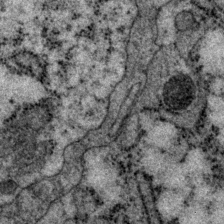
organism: P. pacificus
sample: Pharynx